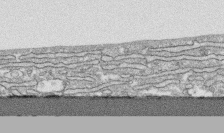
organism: Human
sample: CRL-1474